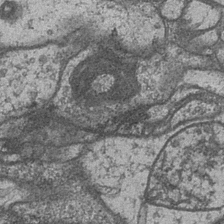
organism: Drosophila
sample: Optic medulla